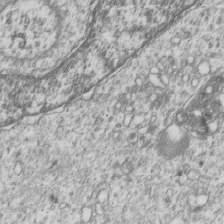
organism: Human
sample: MDA-MB-231 cells